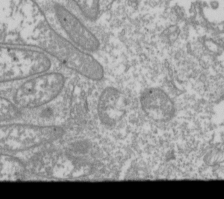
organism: Drosophila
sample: Cell division; meiosis; drosophila spermatocytes